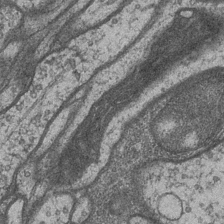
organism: Drosophila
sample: Optic medulla